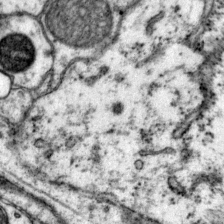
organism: Mouse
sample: Primary visual cortex